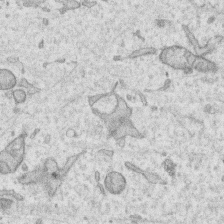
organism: Human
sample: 1205lu cells